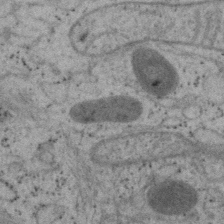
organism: Human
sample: HeLa cells